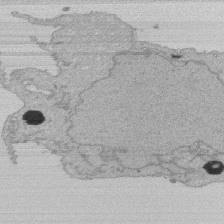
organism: Human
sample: Activated Jurkat CD4+ T cells